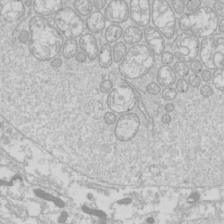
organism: Drosophila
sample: Cell division; meiosis; drosophila spermatocytes